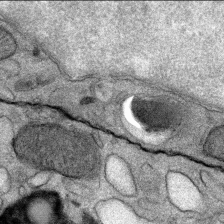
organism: Mouse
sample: Mouse Salivary gland